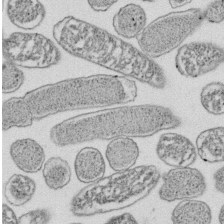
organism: E. coli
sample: Bacterial nucleoid